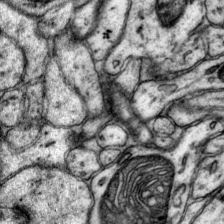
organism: Mouse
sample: Primary visual cortex